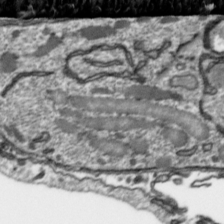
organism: Toxoplasma gondii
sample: Parasites in a vacuole inside a host cell